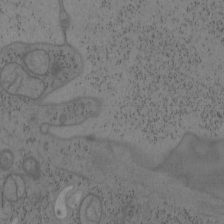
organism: Mouse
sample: OT-I killer T cells with ID8 ovarian cancer cells